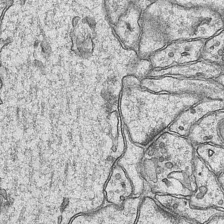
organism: Mouse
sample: CA1 Hippocampus